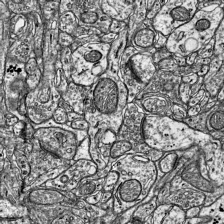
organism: Mouse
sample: Visual Cortex